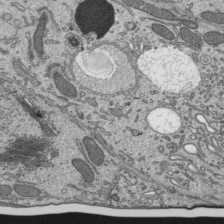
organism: Mouse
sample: Mouse epididymis efferent ductule cilia